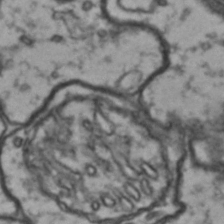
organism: Drosophila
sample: Brain